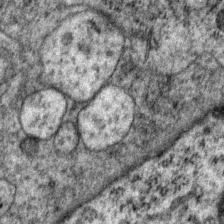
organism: P. pacificus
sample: Pharynx